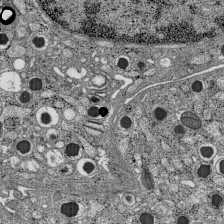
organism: C57BL Mouse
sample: Pancreatic islet